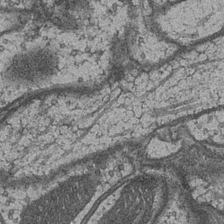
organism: Drosophila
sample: Optic medulla